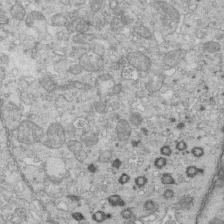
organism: Mouse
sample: Multiciliated cells